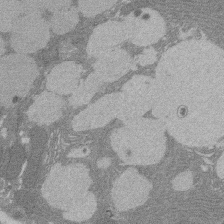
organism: Rat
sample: Salivary granule